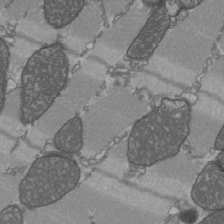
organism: C57BL Mouse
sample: Heart